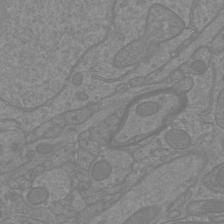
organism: Mouse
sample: Cortical neurons